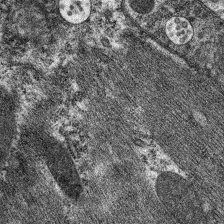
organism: C. elegans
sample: Pharynx